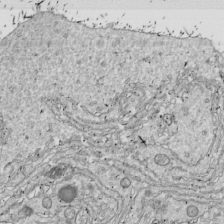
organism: Drosophila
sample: Cell division; meiosis; drosophila spermatocytes